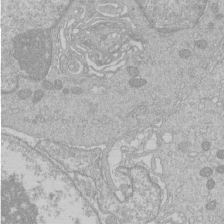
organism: Human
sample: Macrophage cells